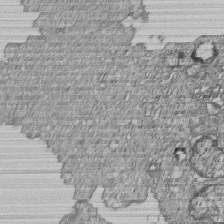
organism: Human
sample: MDA-MB-231 cells